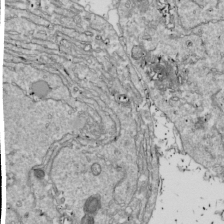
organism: Drosophila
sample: Cell division; meiosis; drosophila spermatocytes